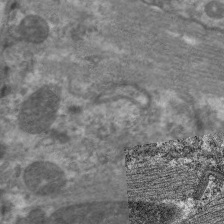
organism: C. elegans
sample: Pharynx